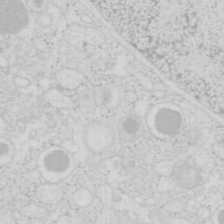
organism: Mouse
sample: Pancreas